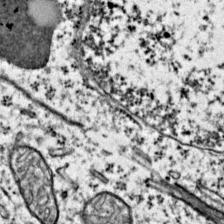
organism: Mouse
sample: Primary visual cortex